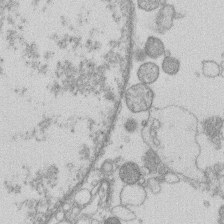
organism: Human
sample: Macrophage cells